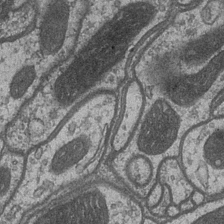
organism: Drosophila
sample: Optic medulla